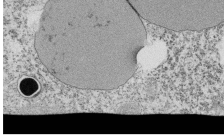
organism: Tetrahymena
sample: Cilia in tetrahymena